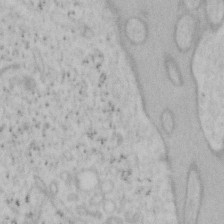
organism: Human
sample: HeLa cells